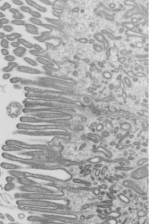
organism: Mouse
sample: Mouse epididymis efferent ductule cilia